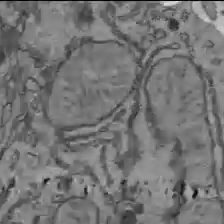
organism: C57BL Mouse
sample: Liver